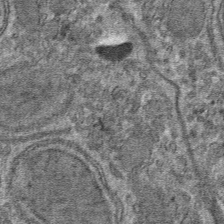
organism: Mouse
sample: Mouse hepatocytes